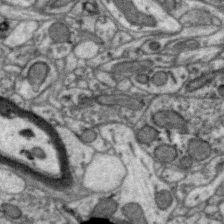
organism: Zebra finch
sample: Brain